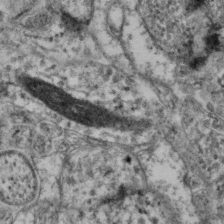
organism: Mouse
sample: Neocortex